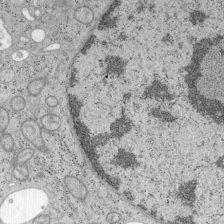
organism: Mouse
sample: OT-I killer T cells with ID8 ovarian cancer cells